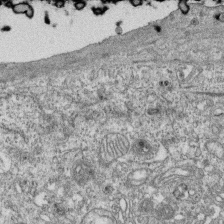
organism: Human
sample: HeLa cell HIV synapse